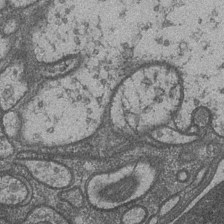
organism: Drosophila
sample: Optic medulla